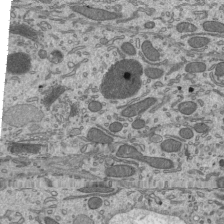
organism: Mouse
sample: Mouse epididymis efferent ductule cilia